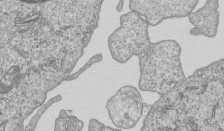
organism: Human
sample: MDA-MB-231 cells